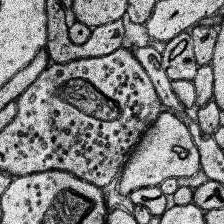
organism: Human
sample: Temporal Lobe